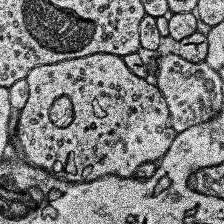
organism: Human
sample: Temporal Lobe